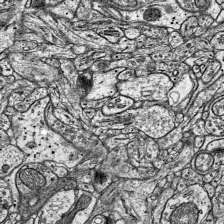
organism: Mouse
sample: Visual Cortex